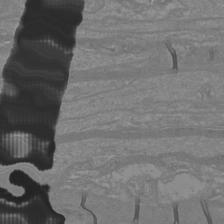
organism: Mouse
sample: Cortical neurons